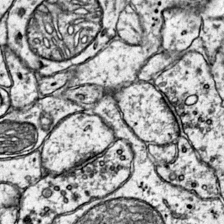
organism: Mouse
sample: Primary visual cortex